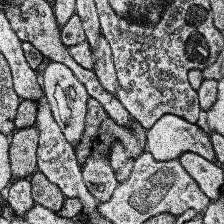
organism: Human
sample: Temporal Lobe